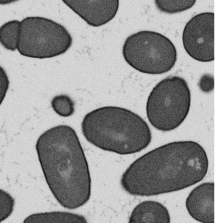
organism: B. subtilis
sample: Bacterial spore